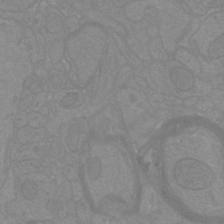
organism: Mouse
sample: Cortical neurons